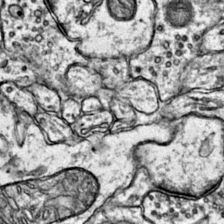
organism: Mouse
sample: Primary visual cortex